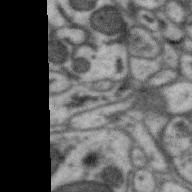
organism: Zebra finch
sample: Brain